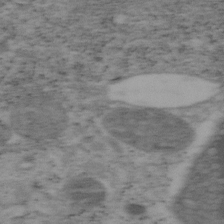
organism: Mouse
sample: OT-I killer T cells with ID8 ovarian cancer cells